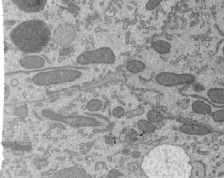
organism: Mouse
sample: Mouse epididymis efferent ductule cilia